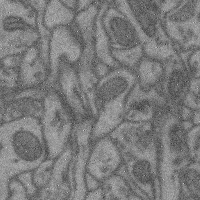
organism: Mouse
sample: Cerebral cortex